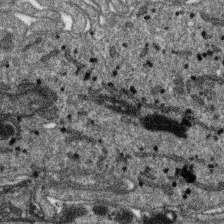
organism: Human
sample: Lung epithelial cells infected with SARS-CoV-2